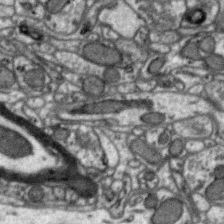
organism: Zebra finch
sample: Brain